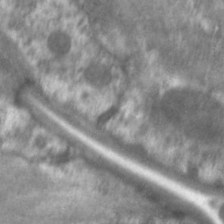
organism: C. elegans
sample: Pharynx